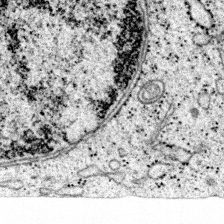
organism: Human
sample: HeLa cells